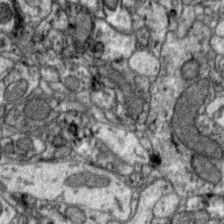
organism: Zebra finch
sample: Brain